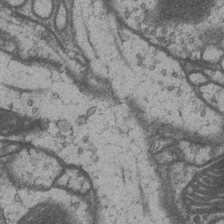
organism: Drosophila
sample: Optic medulla